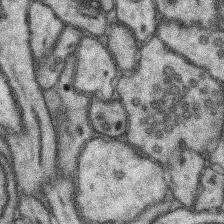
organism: Mouse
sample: Somatosensory cortex neuropil